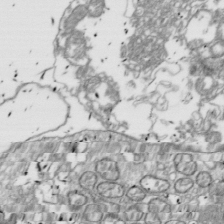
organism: Drosophila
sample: Cell division; meiosis; drosophila spermatocytes